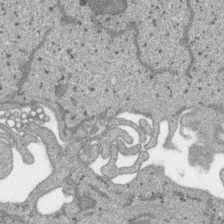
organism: Human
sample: Lung epithelial cells infected with SARS-CoV-2